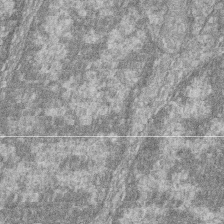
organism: Zebrafish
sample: Cilia; retinal pigment epithelium